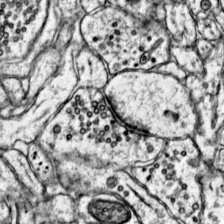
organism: Mouse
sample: Primary visual cortex